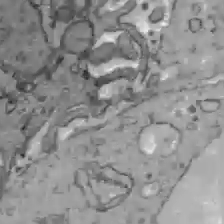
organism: C57BL Mouse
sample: Liver